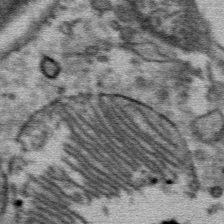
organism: Mouse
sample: Mouse Salivary gland